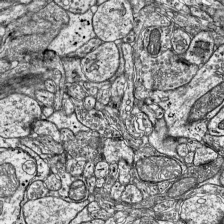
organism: Mouse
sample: Visual Cortex